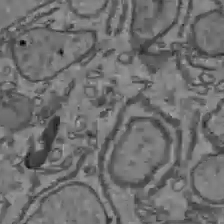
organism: C57BL Mouse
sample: Liver